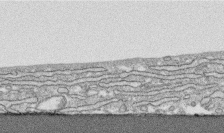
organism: Human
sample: CRL-1474